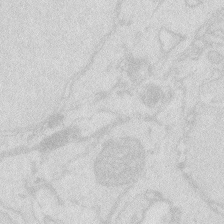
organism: Zebrafish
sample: Macrophage